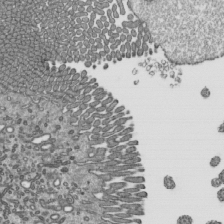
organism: Mouse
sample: Mouse epididymis efferent ductule cilia